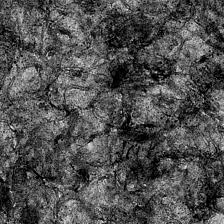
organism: Mouse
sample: CA1 Hippocampus